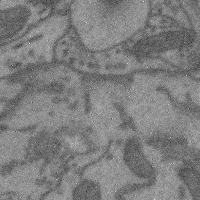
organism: Mouse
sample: Cerebral cortex